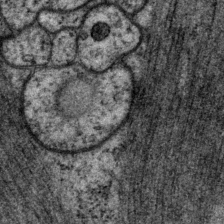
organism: P. pacificus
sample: Pharynx